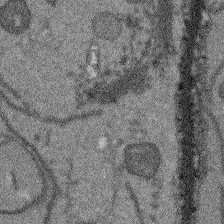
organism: Arabidopsis thaliana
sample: Root tip